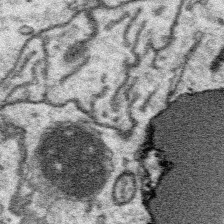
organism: Platynereis dumerilii